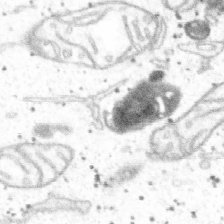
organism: Human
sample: HeLa cells